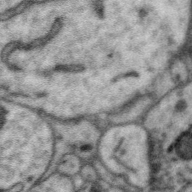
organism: Zebra finch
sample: Brain